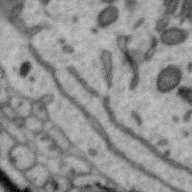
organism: Zebra finch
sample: Brain